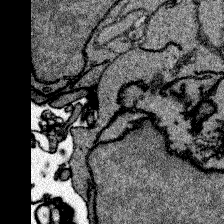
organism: Zebrafish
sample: Larval olfactory bulb